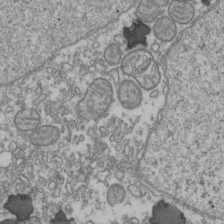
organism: Human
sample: Activated Jurkat CD4+ T cells